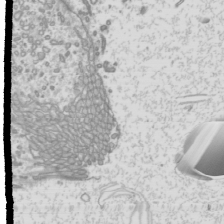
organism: Mouse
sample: Cilia; mouse epididymis